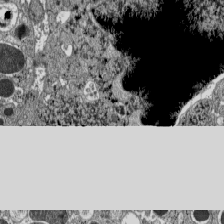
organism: C57BL Mouse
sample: Pancreatic islet